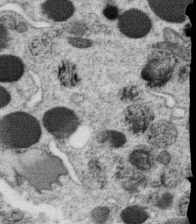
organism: C. elegans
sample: C. elegans oocyte; sperm cells